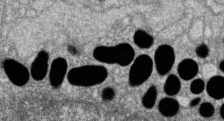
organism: Zebrafish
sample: Cilia; retinal pigment epithelium